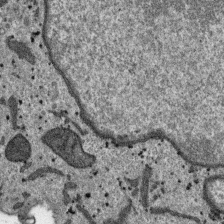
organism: Human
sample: Lung epithelial cells, uninfected (mock) control